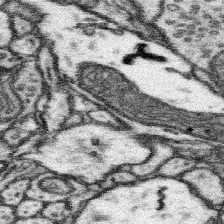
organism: Mouse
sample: Somatosensory cortex neuropil